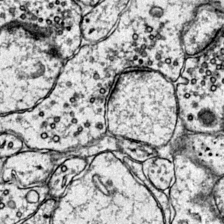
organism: Mouse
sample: Primary visual cortex